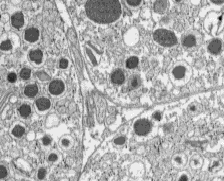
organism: C57BL Mouse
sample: Pancreatic islet